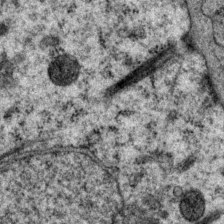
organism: P. pacificus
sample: Pharynx